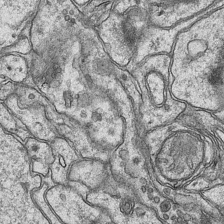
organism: Mouse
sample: CA1 Hippocampus